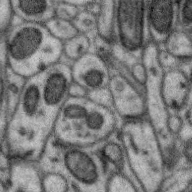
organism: Zebra finch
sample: Brain